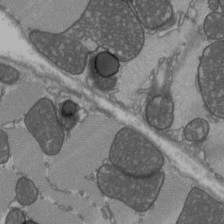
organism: C57BL Mouse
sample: Heart